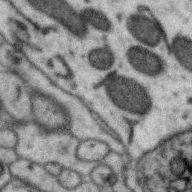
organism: Zebra finch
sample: Brain